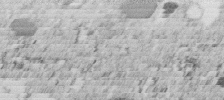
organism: C. elegans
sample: C. elegans embryo early stage